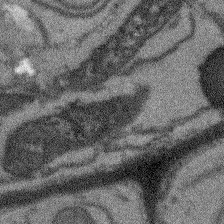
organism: Arabidopsis thaliana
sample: Root tip